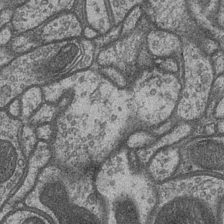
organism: Drosophila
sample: Optic medulla